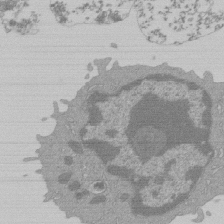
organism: Mouse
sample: Activated Pmel transgenic CD8+ T Cells